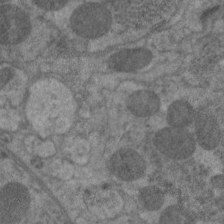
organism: C. elegans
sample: Pharynx